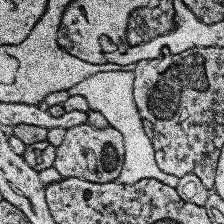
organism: Human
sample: Temporal Lobe